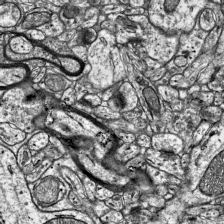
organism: Mouse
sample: Visual Cortex